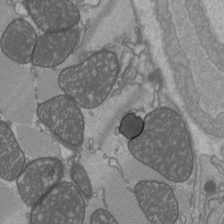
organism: C57BL Mouse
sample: Heart